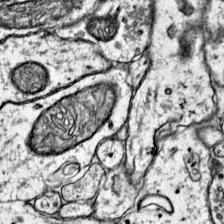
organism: Mouse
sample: Primary visual cortex